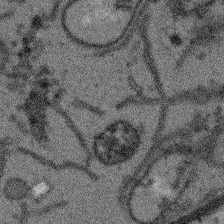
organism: Arabidopsis thaliana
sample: Root tip